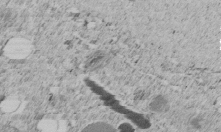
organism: C. elegans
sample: C. elegans embryo early stage